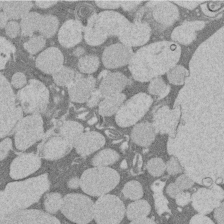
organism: Rat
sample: Salivary granule